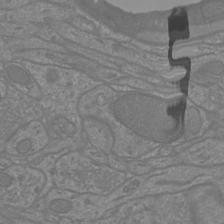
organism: Mouse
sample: Cortical neurons